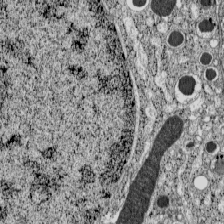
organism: C57BL Mouse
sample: Pancreatic islet